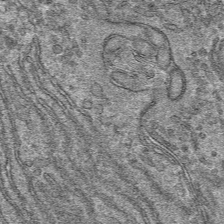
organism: Mouse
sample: Mouse hepatocytes